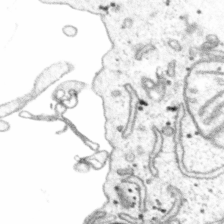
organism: Human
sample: HeLa cells